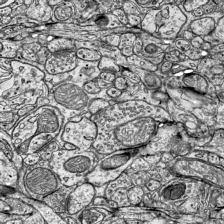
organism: Mouse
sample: Visual Cortex